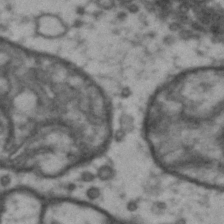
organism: Drosophila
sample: Brain